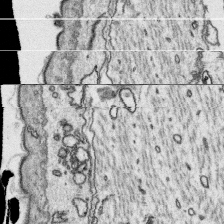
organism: Platynereis dumerilii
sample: Parapodia